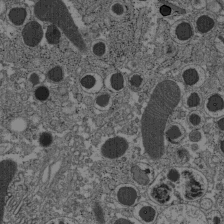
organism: C57BL Mouse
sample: Pancreatic islet